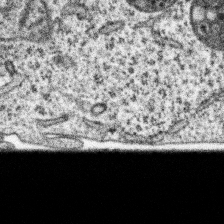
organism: Human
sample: HeLa cells